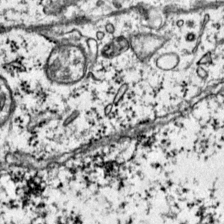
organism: Mouse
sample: Primary visual cortex